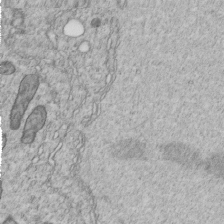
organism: C. elegans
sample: C. elegans embryo early stage